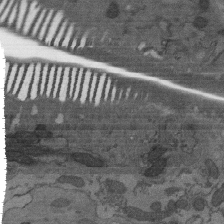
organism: C. elegans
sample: AFD neurons C. elegans